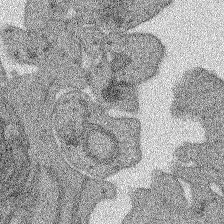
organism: Human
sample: HeLa cells